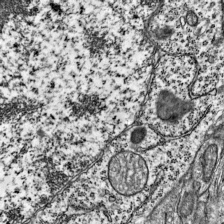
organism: Mouse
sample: Visual Cortex